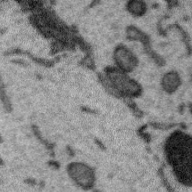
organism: Zebra finch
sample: Brain